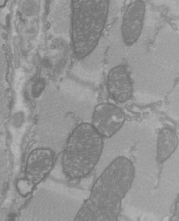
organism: C57BL Mouse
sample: Heart